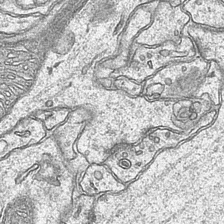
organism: Mouse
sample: CA1 Hippocampus